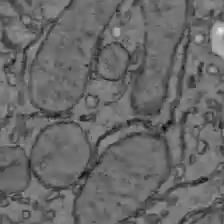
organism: C57BL Mouse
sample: Liver